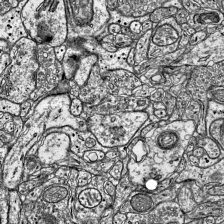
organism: Mouse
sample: Visual Cortex